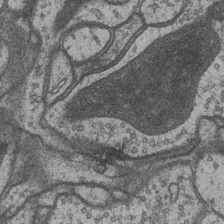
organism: Drosophila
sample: Optic medulla